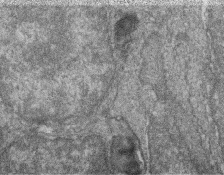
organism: Zebrafish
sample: Cilia; retinal pigment epithelium